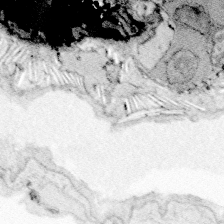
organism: Zebrafish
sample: Whole-Brain